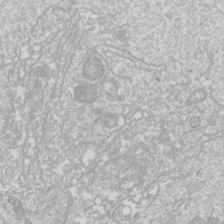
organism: Drosophila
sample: Cell division; meiosis; drosophila spermatocytes